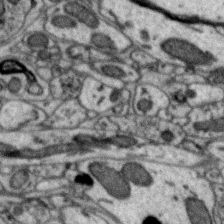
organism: Zebra finch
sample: Brain